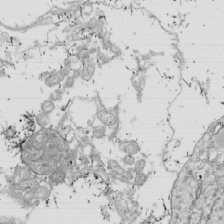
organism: Drosophila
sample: Cell division; meiosis; drosophila spermatocytes